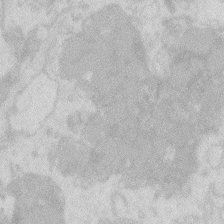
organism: Zebrafish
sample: Macrophage